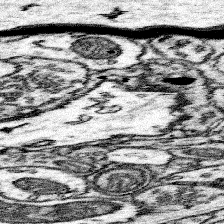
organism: Mouse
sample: Somatosensory cortex neuropil